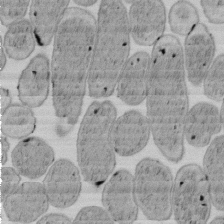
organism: E. coli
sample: Bacterial nucleoid